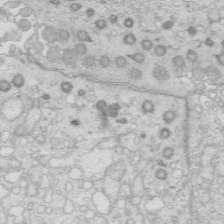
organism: Mouse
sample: Multiciliated cells